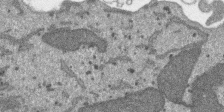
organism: Human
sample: Lung epithelial cells infected with SARS-CoV-2